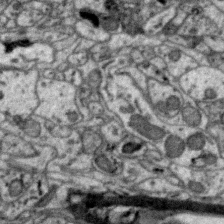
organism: Zebra finch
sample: Brain